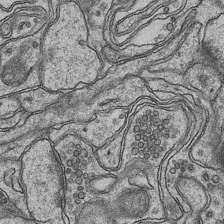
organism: Mouse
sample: CA1 Hippocampus